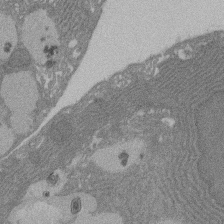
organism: Rat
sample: Salivary granule